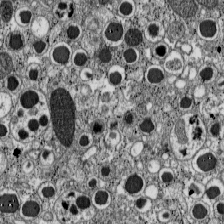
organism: C57BL Mouse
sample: Pancreatic islet